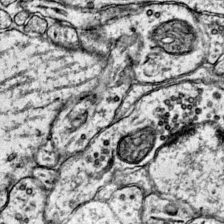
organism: Mouse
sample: Primary visual cortex